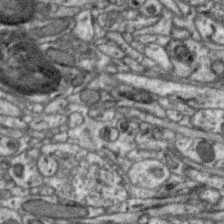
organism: Zebra finch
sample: Brain